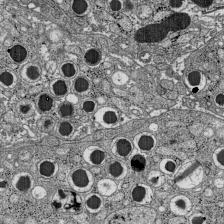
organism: C57BL Mouse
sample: Pancreatic islet